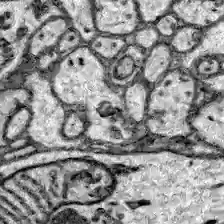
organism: Zebrafish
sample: Brain